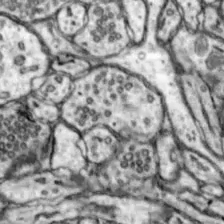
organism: Mouse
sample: Nucleus accumbens